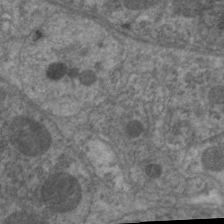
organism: C. elegans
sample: Pharynx